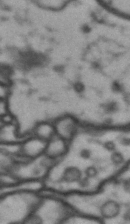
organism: Drosophila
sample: Brain